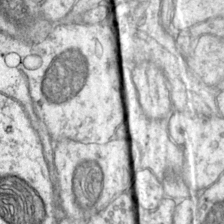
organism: Mouse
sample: Primary visual cortex